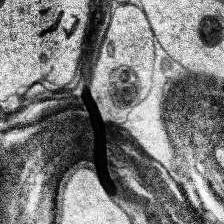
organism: Human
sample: Temporal Lobe